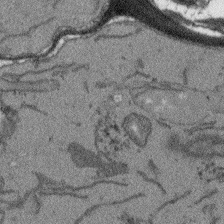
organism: Arabidopsis thaliana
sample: Root tip